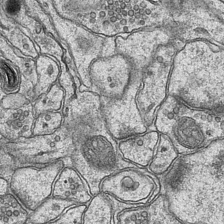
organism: Mouse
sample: CA1 Hippocampus